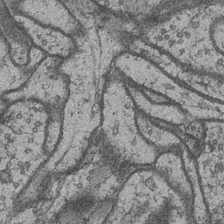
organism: Drosophila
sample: Optic medulla